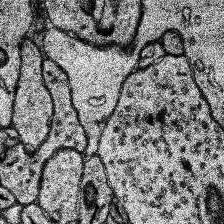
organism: Human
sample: Temporal Lobe